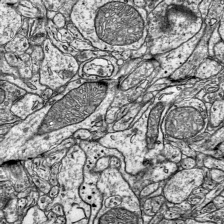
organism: Mouse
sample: Visual Cortex